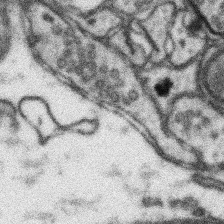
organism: Mouse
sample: Somatosensory cortex neuropil